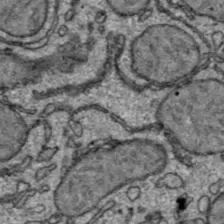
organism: C57BL Mouse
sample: Liver